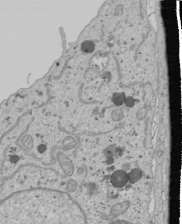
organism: Human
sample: Mitochondria in U2OS cells